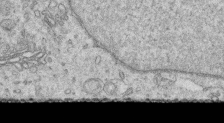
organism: Human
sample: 1205lu cells